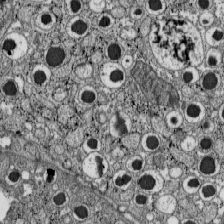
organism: C57BL Mouse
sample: Pancreatic islet